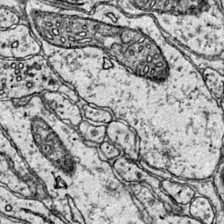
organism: Mouse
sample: Primary visual cortex